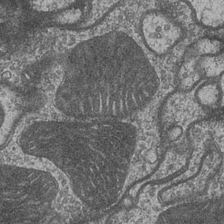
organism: Drosophila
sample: Optic medulla